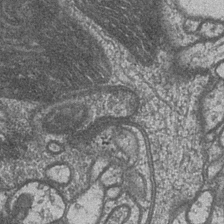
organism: Drosophila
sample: Optic medulla